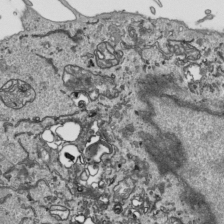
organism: Human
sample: Mitochondria in HCT116 cells